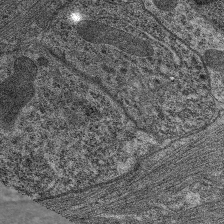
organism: C. elegans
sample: Pharynx